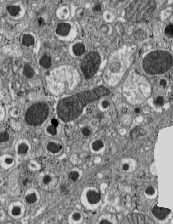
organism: C57BL Mouse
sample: Pancreatic islet